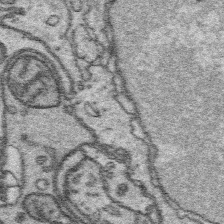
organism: Platynereis dumerilii